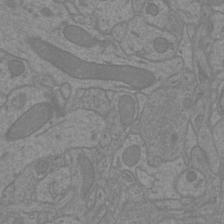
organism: Mouse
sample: Cortical neurons